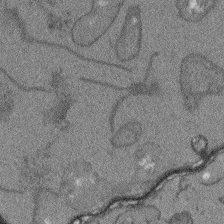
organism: Arabidopsis thaliana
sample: Root tip